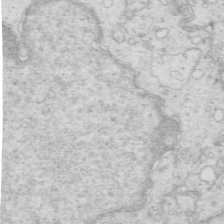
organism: Mouse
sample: Multiciliated cells